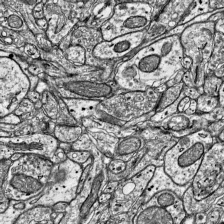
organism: Mouse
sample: Visual Cortex